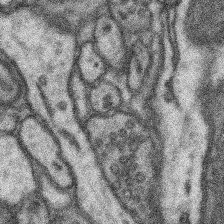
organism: Mouse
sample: Somatosensory cortex neuropil